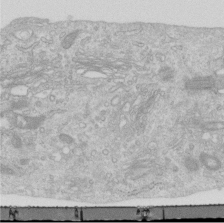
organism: Human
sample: Centriole in RPE cells